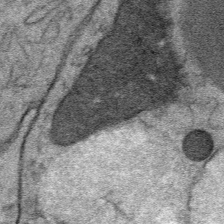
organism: Mouse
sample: Mouse Salivary gland